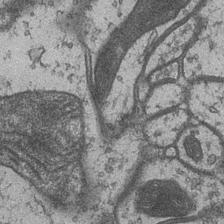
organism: Drosophila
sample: Optic medulla